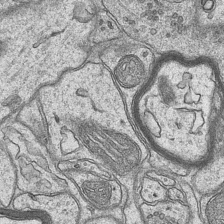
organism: Mouse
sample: CA1 Hippocampus